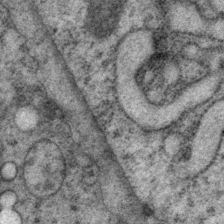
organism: P. pacificus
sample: Pharynx